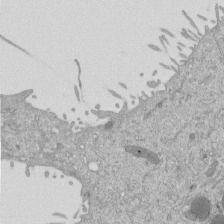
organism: Mouse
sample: ED-1 cell nuclei; centrioles